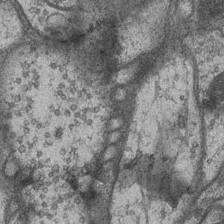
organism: Drosophila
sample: Optic medulla